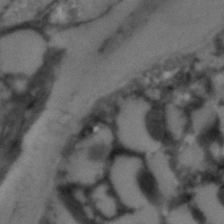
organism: C. elegans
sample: C. elegans embryo